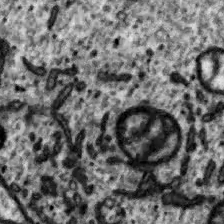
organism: Human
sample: HeLa cells